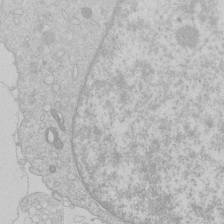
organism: Human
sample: Macrophage cells